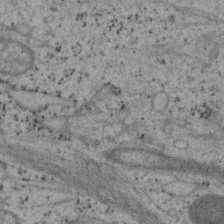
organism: Human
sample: HeLa cells